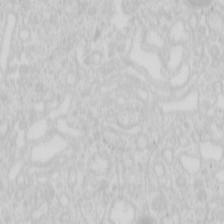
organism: Mouse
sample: Pancreas